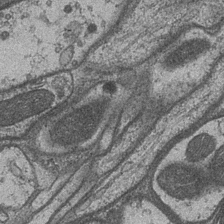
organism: Drosophila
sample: Optic medulla